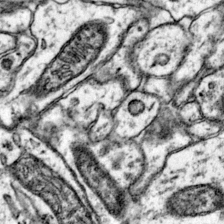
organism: Mouse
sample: Primary visual cortex